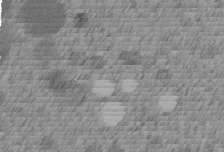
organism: C. elegans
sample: C. elegans embryo early stage